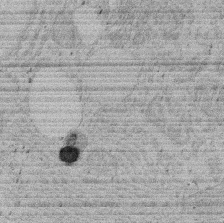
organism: Rat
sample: Salivary granule